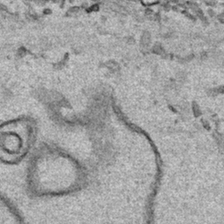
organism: Human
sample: Mitochondria in HCT116 cells